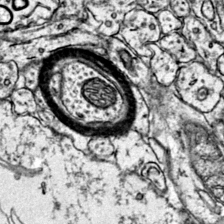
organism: Mouse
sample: Primary visual cortex